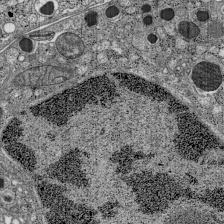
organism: C57BL Mouse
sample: Pancreatic islet